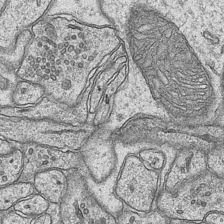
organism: Mouse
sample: CA1 Hippocampus